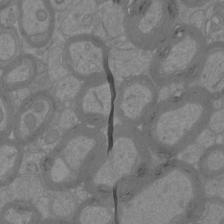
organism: Mouse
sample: Cortical neurons